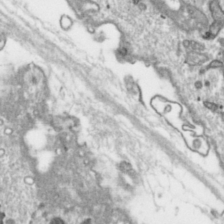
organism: Toxoplasma gondii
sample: Parasites in a vacuole inside a host cell